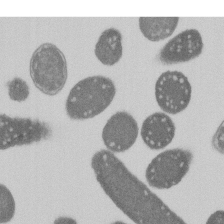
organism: E. coli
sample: Bacterial nucleoid